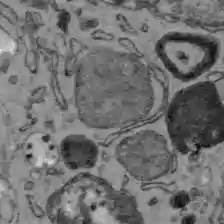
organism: C57BL Mouse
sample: Liver